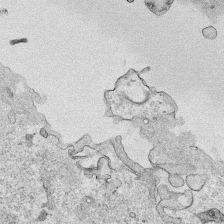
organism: Human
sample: Mitochondria in HCT116 cells